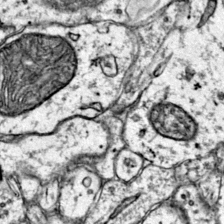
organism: Mouse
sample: Primary visual cortex